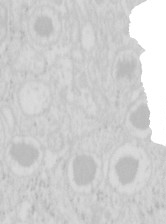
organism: Mouse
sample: Pancreas